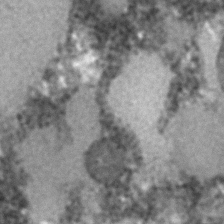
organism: C. elegans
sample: C. elegans embryo